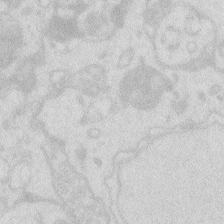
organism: Zebrafish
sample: Macrophage